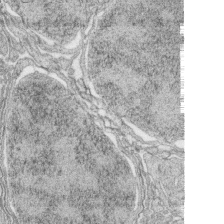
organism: Zebrafish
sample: synaptic ribbons in rod cells and cone cells